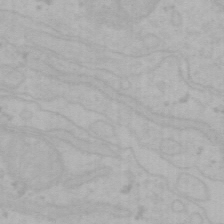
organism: Mouse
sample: Choroid plexus